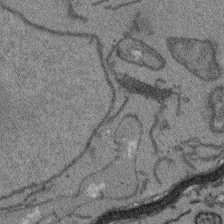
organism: Arabidopsis thaliana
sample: Root tip